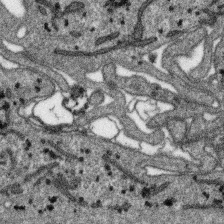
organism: Human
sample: Lung epithelial cells infected with SARS-CoV-2